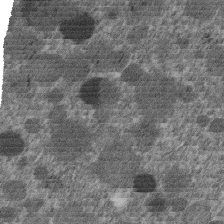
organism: C. elegans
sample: C. elegans embryo early stage